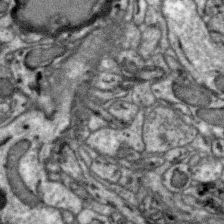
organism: Zebra finch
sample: Brain